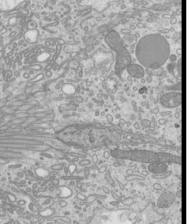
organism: Mouse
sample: Cilia; mouse epididymis